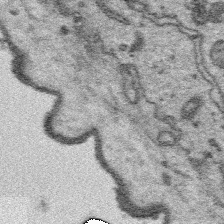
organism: Platynereis dumerilii